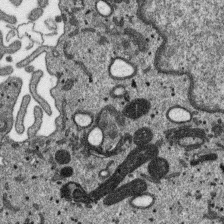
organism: Human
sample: Lung epithelial cells infected with SARS-CoV-2